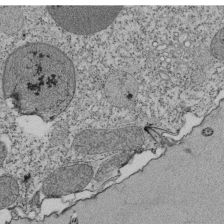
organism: Tetrahymena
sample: Cilia in tetrahymena